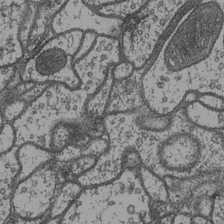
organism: Drosophila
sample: Optic medulla